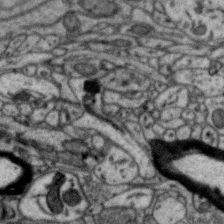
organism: Zebra finch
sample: Brain